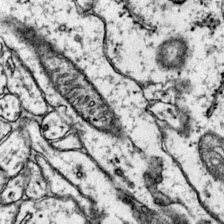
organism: Mouse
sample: Primary visual cortex